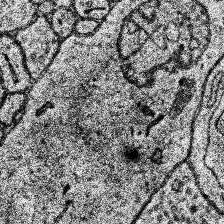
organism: Human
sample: Temporal Lobe